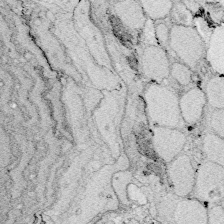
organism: Zebrafish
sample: Whole-Brain